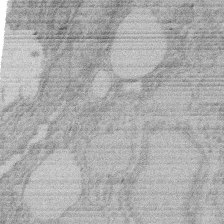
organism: Rat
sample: Salivary granule